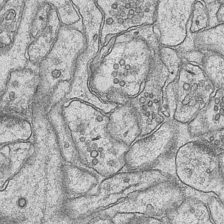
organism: Mouse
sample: CA1 Hippocampus